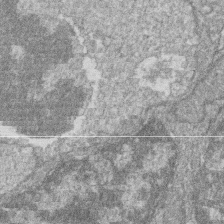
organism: Zebrafish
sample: Cilia; retinal pigment epithelium